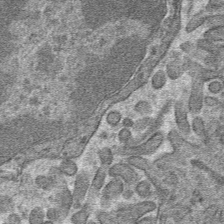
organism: Mouse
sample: Mouse hepatocytes